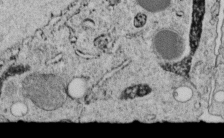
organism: C. elegans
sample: C. elegans embryo early stage